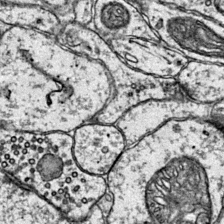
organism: Mouse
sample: Primary visual cortex